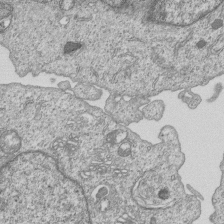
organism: Human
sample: MDA-MB-231 cells